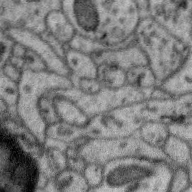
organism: Zebra finch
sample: Brain